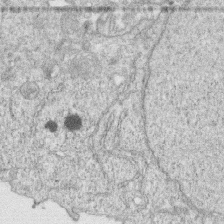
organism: Human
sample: HeLa cell HIV synapse